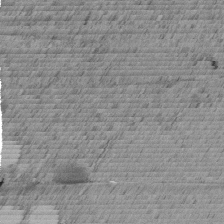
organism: C. elegans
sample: C. elegans embryo early stage